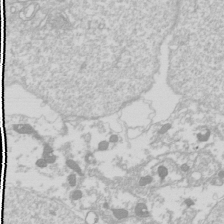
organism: Drosophila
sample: Cell division; meiosis; drosophila spermatocytes